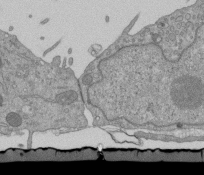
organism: Mouse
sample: ED-1 cell nuclei; centrioles